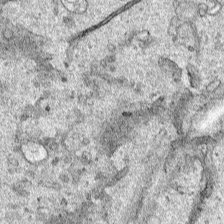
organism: Human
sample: Mitochondria in HCT116 cells